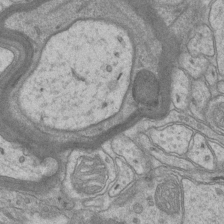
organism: Mouse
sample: CA1 Hippocampus